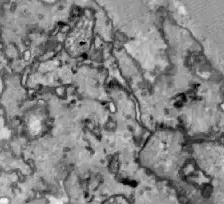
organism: Zebrafish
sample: Actinotrichia fibers